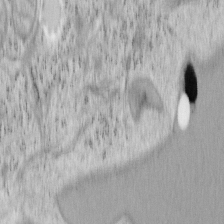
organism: Human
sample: HeLa cells